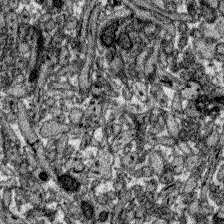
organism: Zebrafish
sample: Larval olfactory bulb